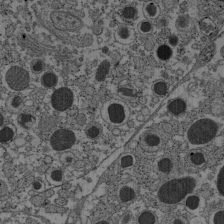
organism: C57BL Mouse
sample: Pancreatic islet